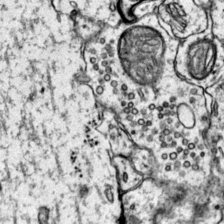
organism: Mouse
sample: Primary visual cortex